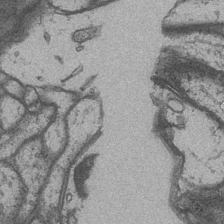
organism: Drosophila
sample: Optic medulla